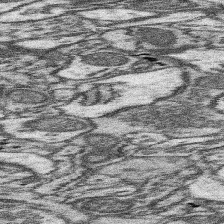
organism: Mouse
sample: Somatosensory cortex neuropil